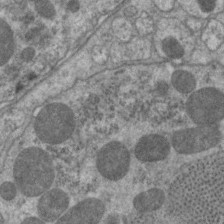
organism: C. elegans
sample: Pharynx